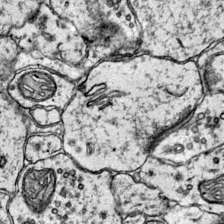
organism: Mouse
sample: Primary visual cortex